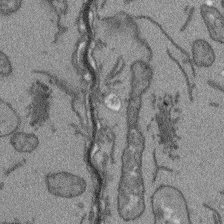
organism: Arabidopsis thaliana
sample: Root tip